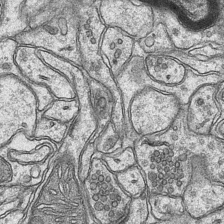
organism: Mouse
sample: CA1 Hippocampus